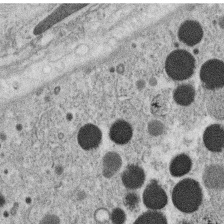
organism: C. elegans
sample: C. elegans oocyte; sperm cells